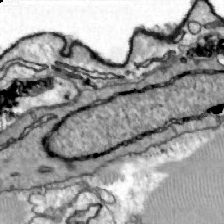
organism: Zebrafish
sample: Actinotrichia fibers